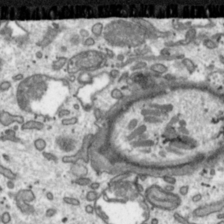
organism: Toxoplasma gondii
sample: Parasites in a vacuole inside a host cell